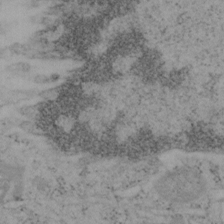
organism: Mouse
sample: OT-I killer T cells with ID8 ovarian cancer cells